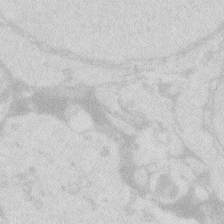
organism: Zebrafish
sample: Macrophage